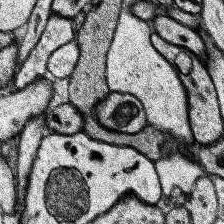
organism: Human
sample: Temporal Lobe